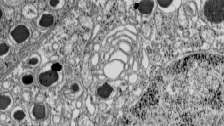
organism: C57BL Mouse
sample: Pancreatic islet